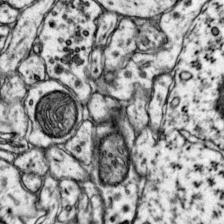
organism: Mouse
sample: Primary visual cortex